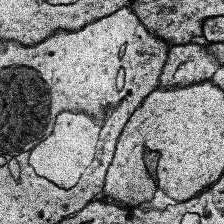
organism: Human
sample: Temporal Lobe